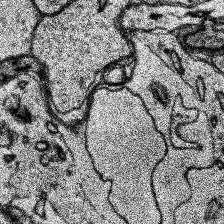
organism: Human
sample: Temporal Lobe